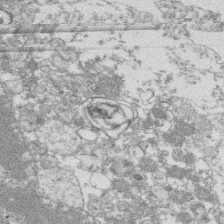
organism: Human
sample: HeLa cell HIV synapse